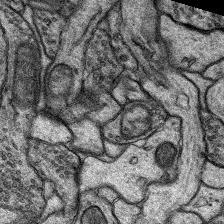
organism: Rat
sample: Hippocampus